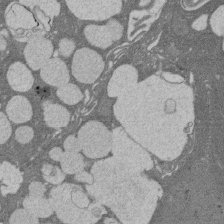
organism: Rat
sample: Salivary granule